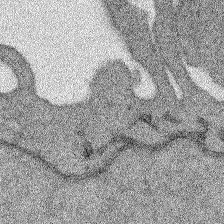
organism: Human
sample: HeLa cells